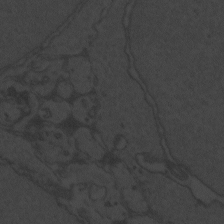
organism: Zebrafish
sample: Macrophage infected with Toxoplasma gondii